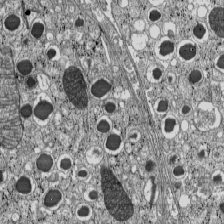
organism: C57BL Mouse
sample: Pancreatic islet